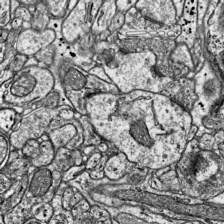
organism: Mouse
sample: Visual Cortex